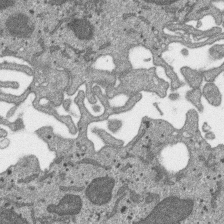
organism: Human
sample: Lung epithelial cells infected with SARS-CoV-2